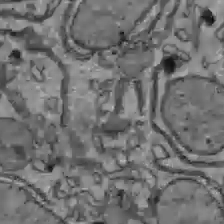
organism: C57BL Mouse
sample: Liver